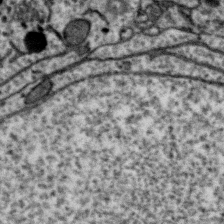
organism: Zebra finch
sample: Brain